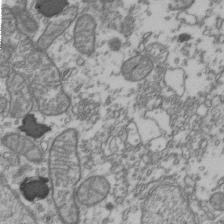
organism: Human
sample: Activated Jurkat CD4+ T cells